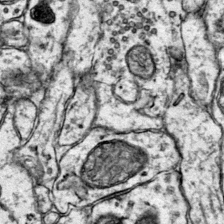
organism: Mouse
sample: Primary visual cortex